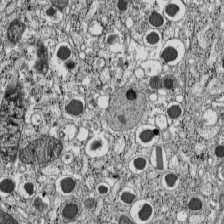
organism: C57BL Mouse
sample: Pancreatic islet